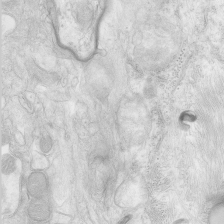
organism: Human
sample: Neocortex